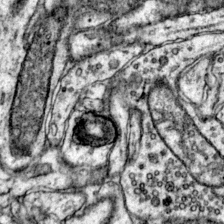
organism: Mouse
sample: Primary visual cortex